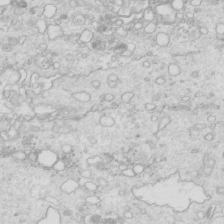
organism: Mouse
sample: Multiciliated cells